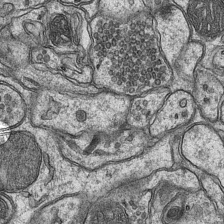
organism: Mouse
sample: CA1 Hippocampus